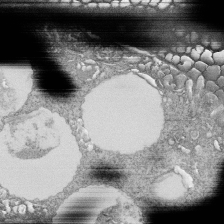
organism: Tetrahymena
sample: Cilia in tetrahymena